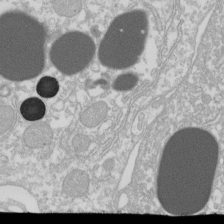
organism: Xenopus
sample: Cilia; centrioles in frog embryo cells